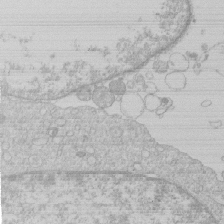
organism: Human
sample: Macrophage cells